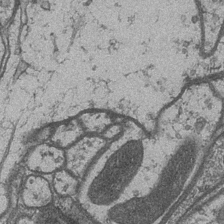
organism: Drosophila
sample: Optic medulla